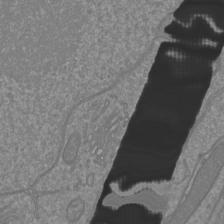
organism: Mouse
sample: Cortical neurons